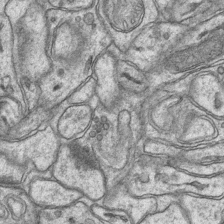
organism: Mouse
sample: CA1 Hippocampus